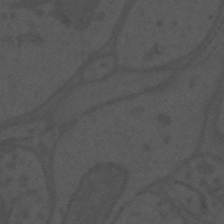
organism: Mouse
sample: Suprachiasmatic nucleus